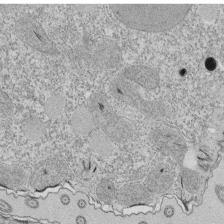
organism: Tetrahymena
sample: Cilia in tetrahymena